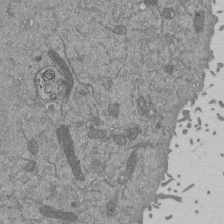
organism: Mouse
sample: ED-1 cell nuclei; centrioles